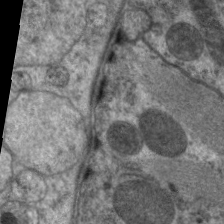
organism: C. elegans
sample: Pharynx